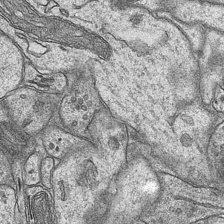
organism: Mouse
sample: CA1 Hippocampus